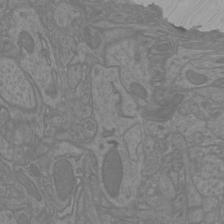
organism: Mouse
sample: Cortical neurons